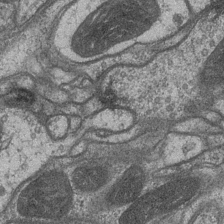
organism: Drosophila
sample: Optic medulla